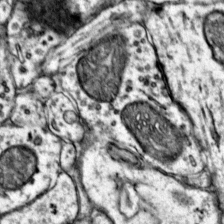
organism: Mouse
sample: Primary visual cortex